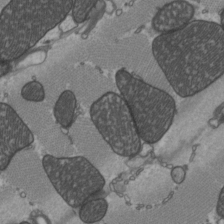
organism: C57BL Mouse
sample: Heart